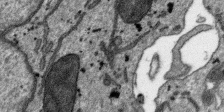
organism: Human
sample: Lung epithelial cells, uninfected (mock) control